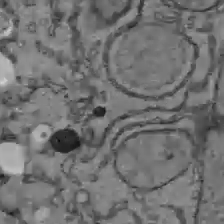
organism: C57BL Mouse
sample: Liver